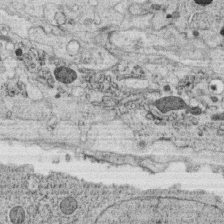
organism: C. elegans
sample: C. elegans oocyte; sperm cells